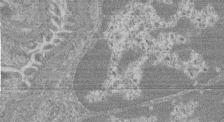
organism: Mouse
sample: Glomerulus